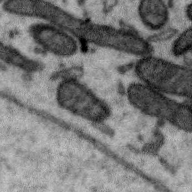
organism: Zebra finch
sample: Brain